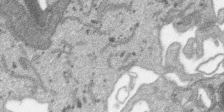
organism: Human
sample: Lung epithelial cells infected with SARS-CoV-2